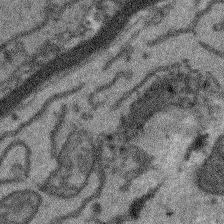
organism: Arabidopsis thaliana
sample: Root tip